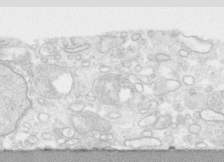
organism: Human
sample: CRL-1474